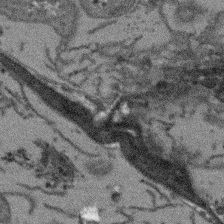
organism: Arabidopsis thaliana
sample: Root tip